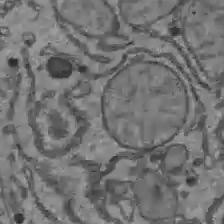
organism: C57BL Mouse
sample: Liver